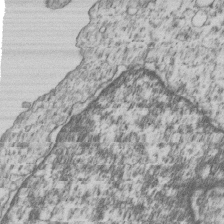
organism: Human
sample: MDA-MB-231 cells